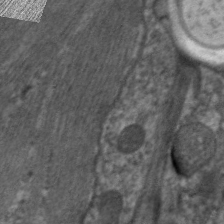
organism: C. elegans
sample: Pharynx